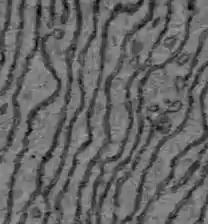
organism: C57BL Mouse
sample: Liver